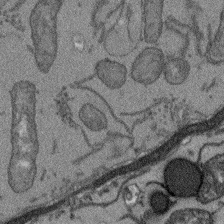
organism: Arabidopsis thaliana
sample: Root tip